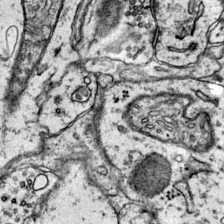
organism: Mouse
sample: Primary visual cortex